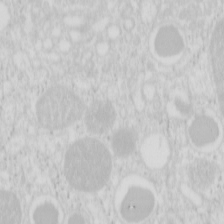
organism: Mouse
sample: Pancreas